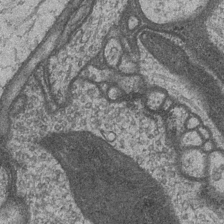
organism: Drosophila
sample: Optic medulla